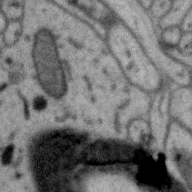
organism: Zebra finch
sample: Brain